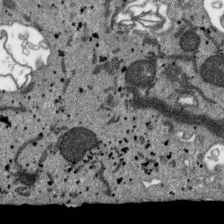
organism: Human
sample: Lung epithelial cells, uninfected (mock) control